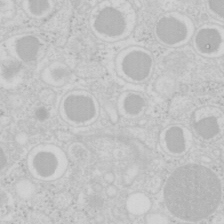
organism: Mouse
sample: Pancreas